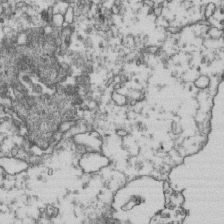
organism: Human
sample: Activated Jurkat CD4+ T cells